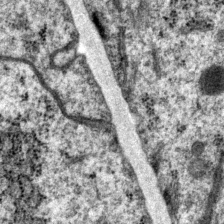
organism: P. pacificus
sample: Pharynx